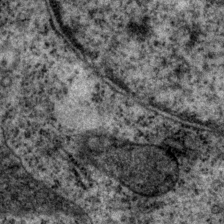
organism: P. pacificus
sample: Pharynx